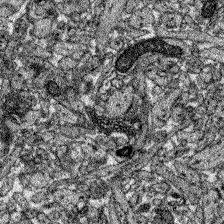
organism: Zebrafish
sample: Larval olfactory bulb